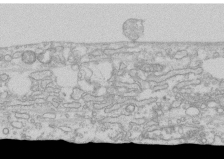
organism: Human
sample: CRL-1474